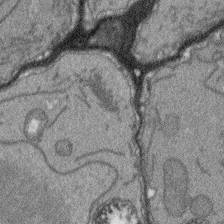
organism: Arabidopsis thaliana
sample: Root tip